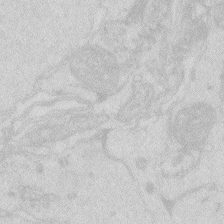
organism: Zebrafish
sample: Macrophage